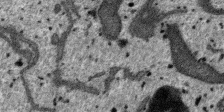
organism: Human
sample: Lung epithelial cells, uninfected (mock) control